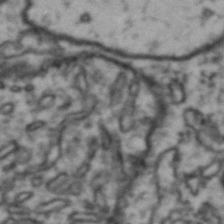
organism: Drosophila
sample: Brain